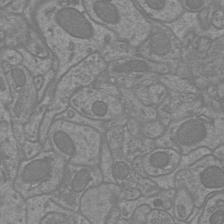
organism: Mouse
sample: Cortical neurons